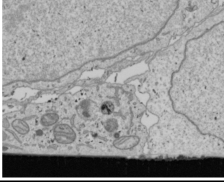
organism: Human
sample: Mitochondria in U2OS cells